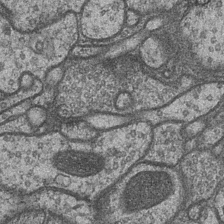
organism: Drosophila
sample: Optic medulla